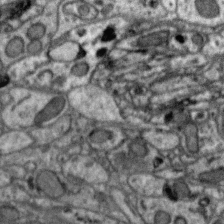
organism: Zebra finch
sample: Brain